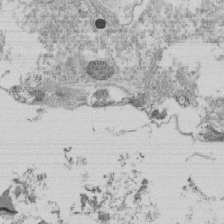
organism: Tetrahymena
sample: Cilia in tetrahymena